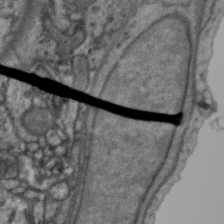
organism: Zebra finch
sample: Brain